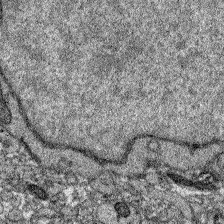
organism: Zebrafish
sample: Larval olfactory bulb